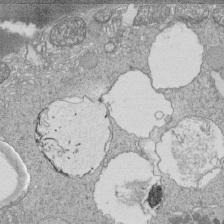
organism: Tetrahymena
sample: Cilia in tetrahymena